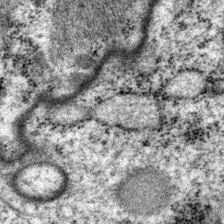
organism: P. pacificus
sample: Pharynx